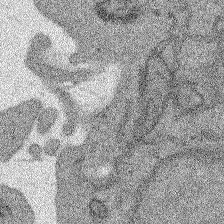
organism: Human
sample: HeLa cells